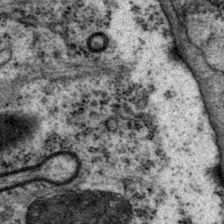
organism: P. pacificus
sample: Pharynx